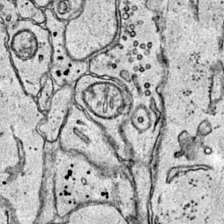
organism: Mouse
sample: Primary visual cortex